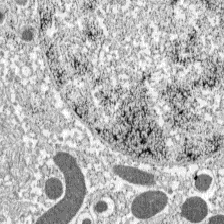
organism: C57BL Mouse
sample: Pancreatic islet